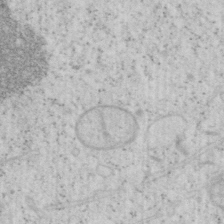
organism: Human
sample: HeLa cells